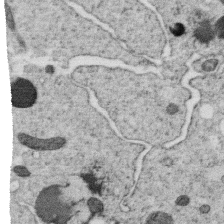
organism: C. elegans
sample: C. elegans oocyte; sperm cells